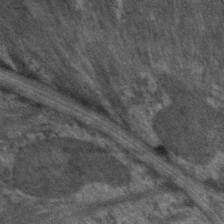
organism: C. elegans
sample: Pharynx